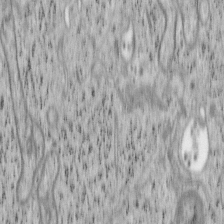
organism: Human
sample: HeLa cells